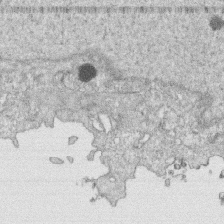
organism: Human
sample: HeLa cell HIV synapse